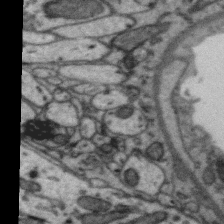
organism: Zebra finch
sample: Brain